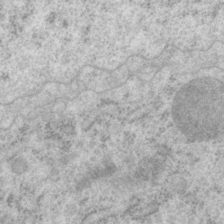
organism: P. pacificus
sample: Pharynx